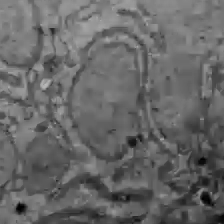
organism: C57BL Mouse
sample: Liver